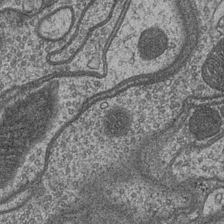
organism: Drosophila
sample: Optic medulla